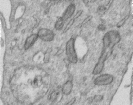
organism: Human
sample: Centriole in RPE cells